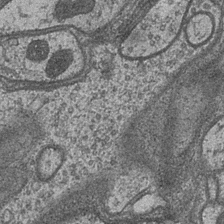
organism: Drosophila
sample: Optic medulla